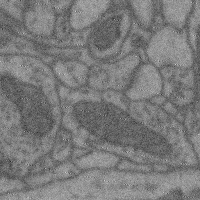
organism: Mouse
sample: Cerebral cortex